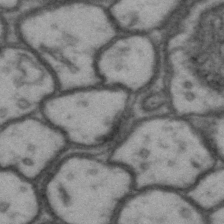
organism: Drosophila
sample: Brain